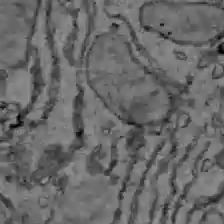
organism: C57BL Mouse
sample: Liver